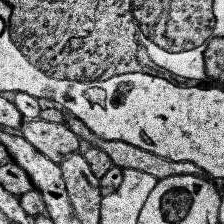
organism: Human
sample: Temporal Lobe